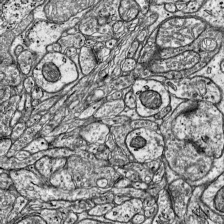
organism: Mouse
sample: Visual Cortex